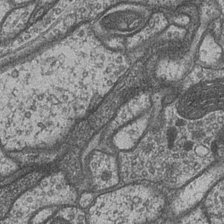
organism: Drosophila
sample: Optic medulla